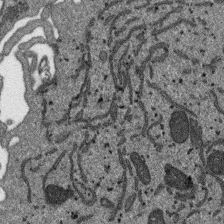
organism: Human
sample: Lung epithelial cells infected with SARS-CoV-2